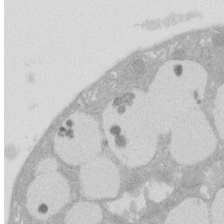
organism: Rat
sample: Salivary granule